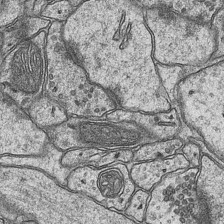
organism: Mouse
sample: CA1 Hippocampus